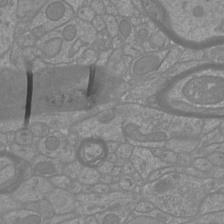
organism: Mouse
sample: Cortical neurons